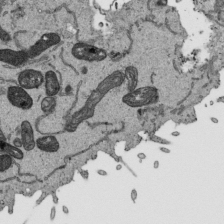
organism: Human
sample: Mitochondria in HCT116 cells